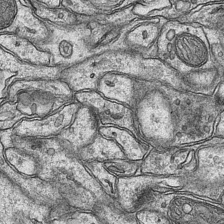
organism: Mouse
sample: CA1 Hippocampus